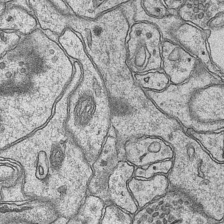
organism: Mouse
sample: CA1 Hippocampus